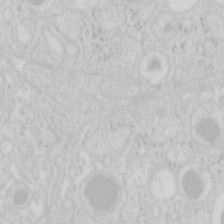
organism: Mouse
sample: Pancreas